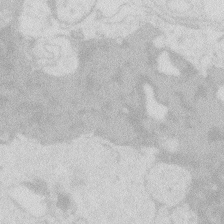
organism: Zebrafish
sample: Macrophage